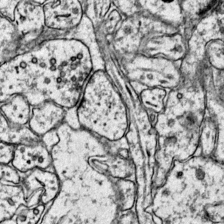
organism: Mouse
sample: Primary visual cortex